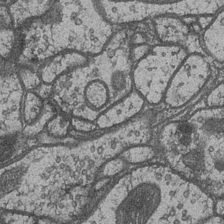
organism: Drosophila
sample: Optic medulla